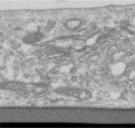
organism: Human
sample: Centriole in RPE cells